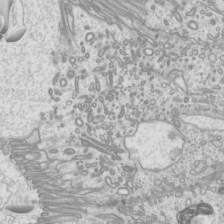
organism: Mouse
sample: Cilia; mouse epididymis